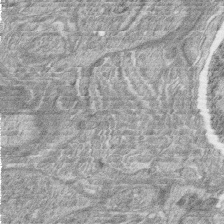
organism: Zebrafish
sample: synaptic ribbons in rod cells and cone cells